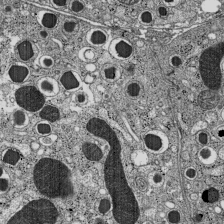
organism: C57BL Mouse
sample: Pancreatic islet